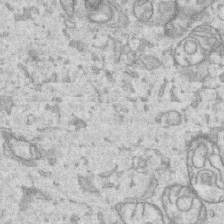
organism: Human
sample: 1205lu cells